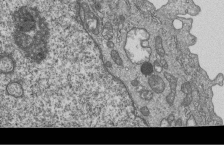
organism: Human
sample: MDA-MB-231 cells